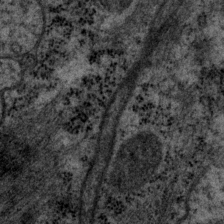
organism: P. pacificus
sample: Pharynx